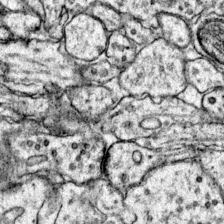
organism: Mouse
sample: Primary visual cortex